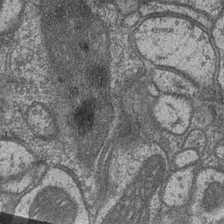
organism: Drosophila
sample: Optic medulla